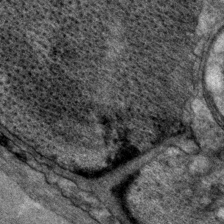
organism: P. pacificus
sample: Pharynx